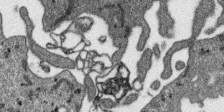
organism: Human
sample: Lung epithelial cells infected with SARS-CoV-2